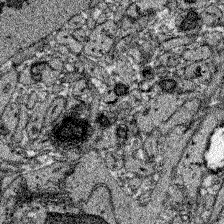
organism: Zebrafish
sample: Larval olfactory bulb